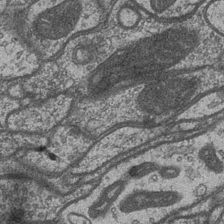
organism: Drosophila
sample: Optic medulla